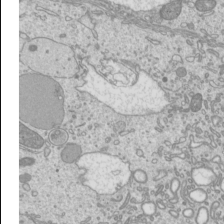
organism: Mouse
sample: Cilia; mouse epididymis